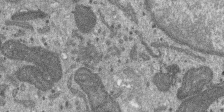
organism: Human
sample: Lung epithelial cells infected with SARS-CoV-2